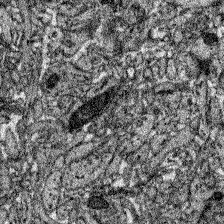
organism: Zebrafish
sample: Larval olfactory bulb